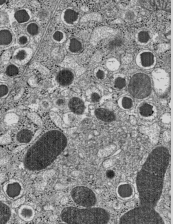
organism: C57BL Mouse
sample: Pancreatic islet